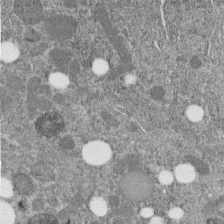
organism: C. elegans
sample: C. elegans embryo early stage